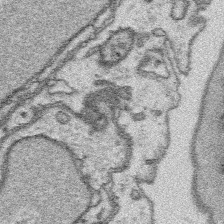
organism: Platynereis dumerilii